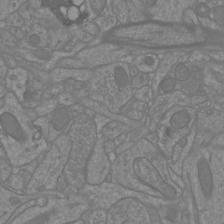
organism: Mouse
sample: Cortical neurons